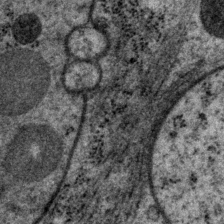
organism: P. pacificus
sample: Pharynx